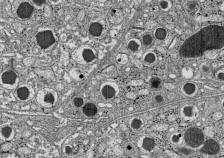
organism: C57BL Mouse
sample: Pancreatic islet